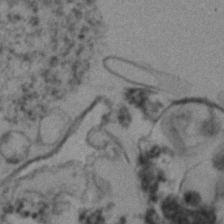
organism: Human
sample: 1205lu cells